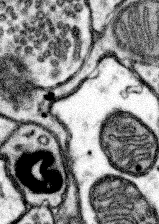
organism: Mouse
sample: Somatosensory cortex neuropil